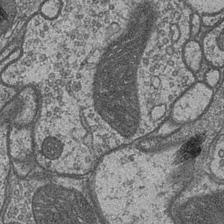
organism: Drosophila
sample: Optic medulla